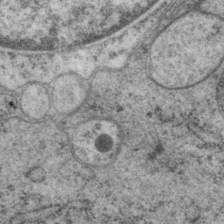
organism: P. pacificus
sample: Pharynx